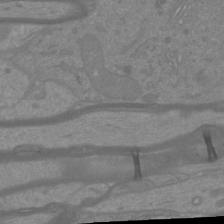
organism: Mouse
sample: Cortical neurons